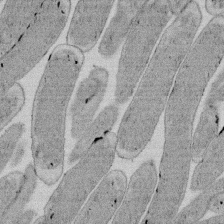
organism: E. coli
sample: Bacterial nucleoid